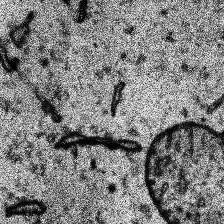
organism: Human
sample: Temporal Lobe